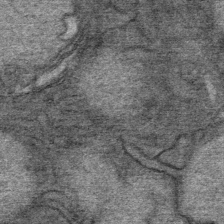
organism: Mouse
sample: Mouse Salivary gland